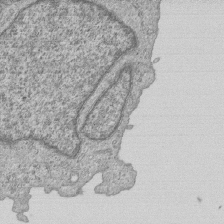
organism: Human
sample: MDA-MB-231 cells